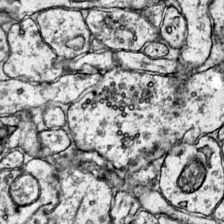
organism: Mouse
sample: Primary visual cortex